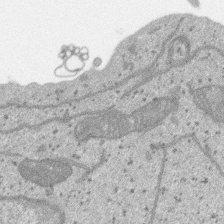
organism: Human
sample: Lung epithelial cells infected with SARS-CoV-2